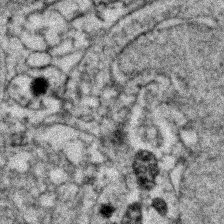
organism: Zebrafish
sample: Zebrafish embryo